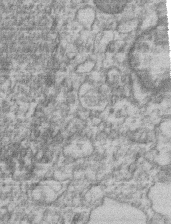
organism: Mouse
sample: T cell stromal cell synapse